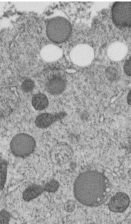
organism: C. elegans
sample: C. elegans embryo early stage